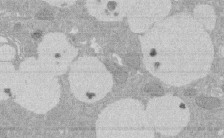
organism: Rat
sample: Salivary granule